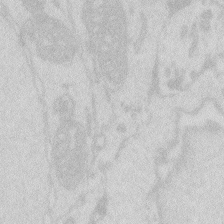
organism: Zebrafish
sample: Macrophage